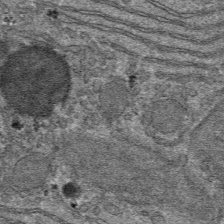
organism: Mouse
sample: Mouse hepatocytes